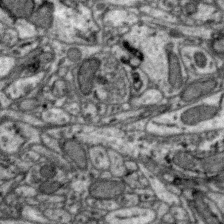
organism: Zebra finch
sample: Brain